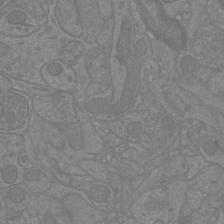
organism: Mouse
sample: Cortical neurons